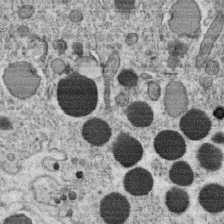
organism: C. elegans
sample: C. elegans oocyte; sperm cells